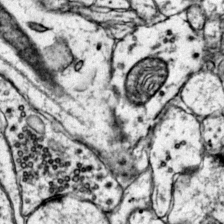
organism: Mouse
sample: Primary visual cortex